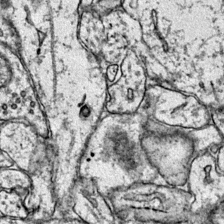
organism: Mouse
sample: Primary visual cortex